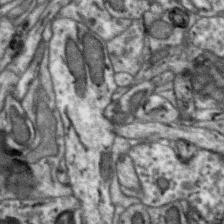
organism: Zebra finch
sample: Brain